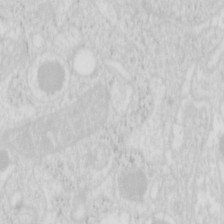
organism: Mouse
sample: Pancreas